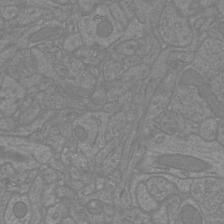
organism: Mouse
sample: Cortical neurons